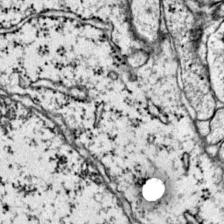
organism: Mouse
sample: Primary visual cortex